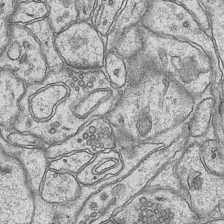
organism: Mouse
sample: CA1 Hippocampus